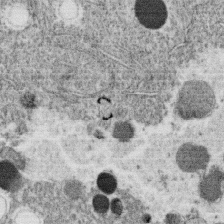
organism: C. elegans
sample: C. elegans oocyte; sperm cells